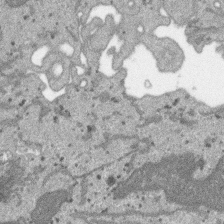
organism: Human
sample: Lung epithelial cells infected with SARS-CoV-2